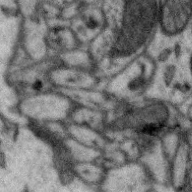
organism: Zebra finch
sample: Brain